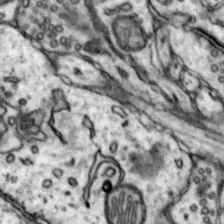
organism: Mouse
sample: Nucleus accumbens